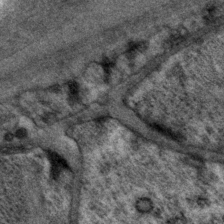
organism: P. pacificus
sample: Pharynx